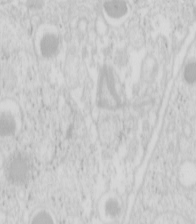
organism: Mouse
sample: Pancreas